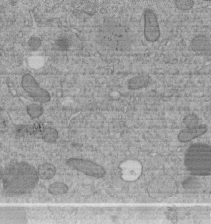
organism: C. elegans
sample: C. elegans embryo early stage